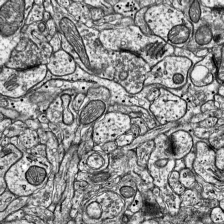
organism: Mouse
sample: Visual Cortex